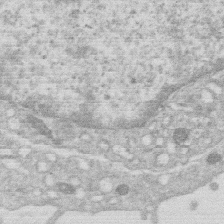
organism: Human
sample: Macrophage cells